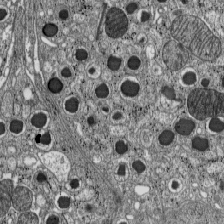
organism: C57BL Mouse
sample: Pancreatic islet